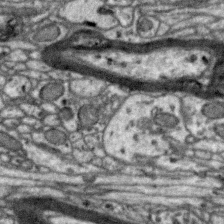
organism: Zebra finch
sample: Brain